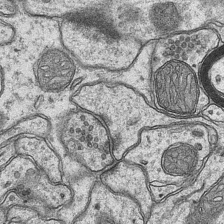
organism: Mouse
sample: CA1 Hippocampus